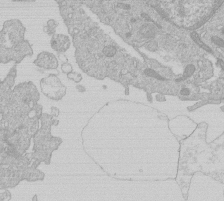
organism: Human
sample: Macrophage cells